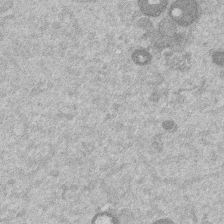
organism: Mouse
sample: Dividing mouse embryo 1 cell stage